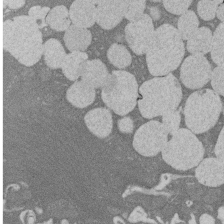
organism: Rat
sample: Salivary granule